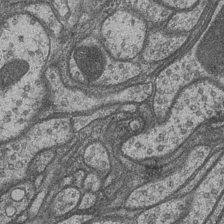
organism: Drosophila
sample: Optic medulla